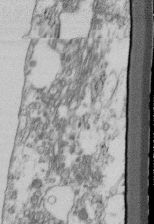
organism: Mouse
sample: Cilia; retinal pigment epithelium